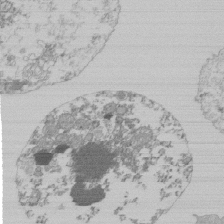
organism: Mouse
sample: Activated Pmel transgenic CD8+ T Cells